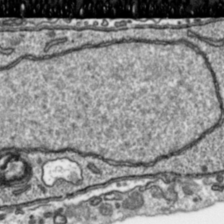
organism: Toxoplasma gondii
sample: Parasites in a vacuole inside a host cell